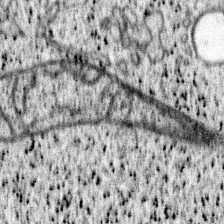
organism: Human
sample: HeLa cells